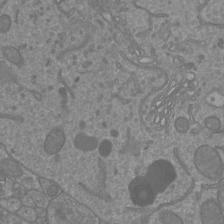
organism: Mouse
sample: Cortical neurons